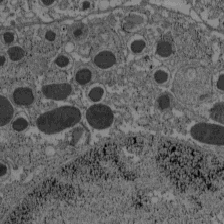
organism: C57BL Mouse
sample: Pancreatic islet